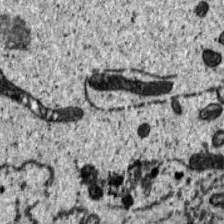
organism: Human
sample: HeLa cells